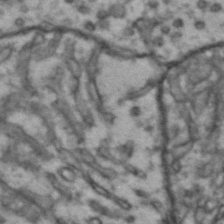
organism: Drosophila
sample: Brain